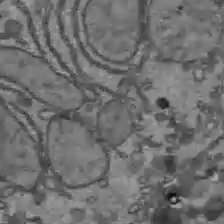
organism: C57BL Mouse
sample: Liver